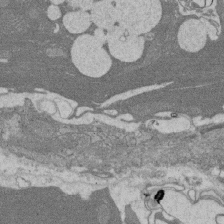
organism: Rat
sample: Salivary granule